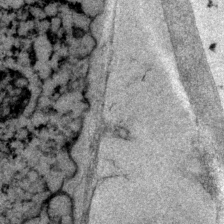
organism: P. pacificus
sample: Pharynx